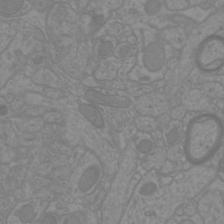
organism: Mouse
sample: Cortical neurons